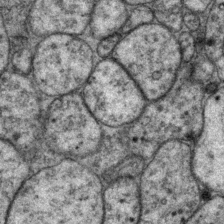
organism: P. pacificus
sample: Pharynx